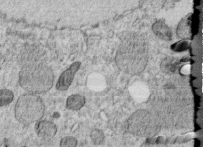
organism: C. elegans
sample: C. elegans embryo early stage